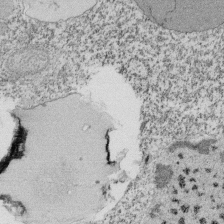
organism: Tetrahymena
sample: Cilia in tetrahymena